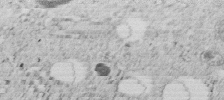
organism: C. elegans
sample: C. elegans embryo early stage